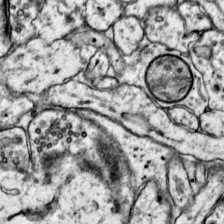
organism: Mouse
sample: Primary visual cortex